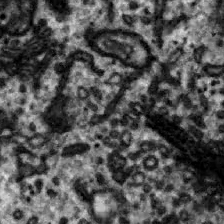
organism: Human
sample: HeLa cells